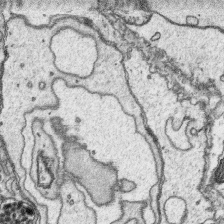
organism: Platynereis dumerilii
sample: Parapodia